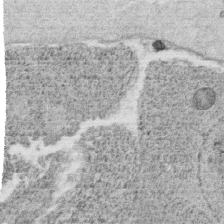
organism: C. elegans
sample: C. elegans oocyte; sperm cells